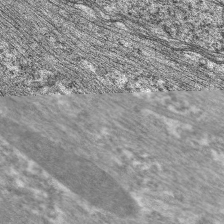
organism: C. elegans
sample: Pharynx